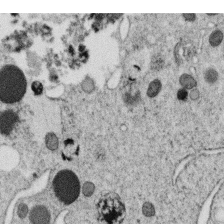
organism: C. elegans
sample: C. elegans oocyte; sperm cells